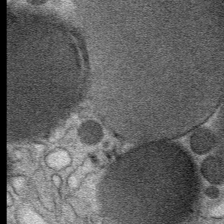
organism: Mouse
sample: Mouse Salivary gland